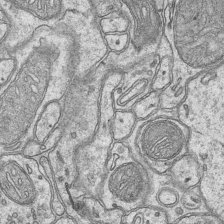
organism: Mouse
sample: CA1 Hippocampus